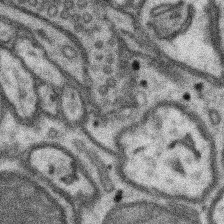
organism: Mouse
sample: Somatosensory cortex neuropil